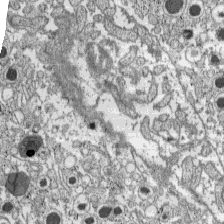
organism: C57BL Mouse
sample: Pancreatic islet